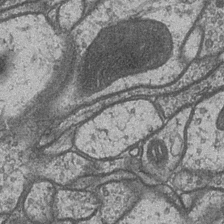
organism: Drosophila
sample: Optic medulla